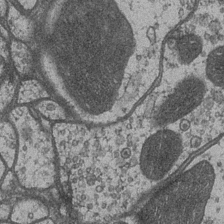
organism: Drosophila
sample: Optic medulla